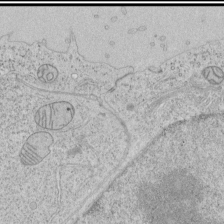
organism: Human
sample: Mitochondria in HCT116 cells